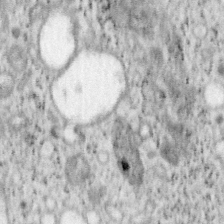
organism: Mouse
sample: OT-I killer T cells with ID8 ovarian cancer cells